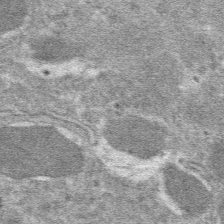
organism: Mouse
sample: Mouse hepatocytes